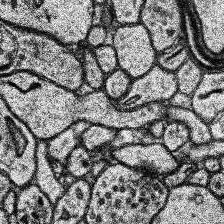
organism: Human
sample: Temporal Lobe